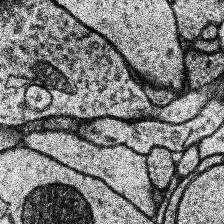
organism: Human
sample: Temporal Lobe